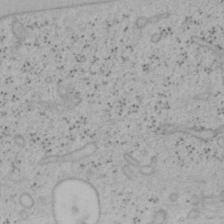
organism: Human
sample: HeLa cells